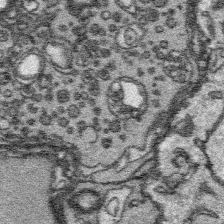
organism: Platynereis dumerilii